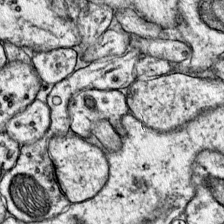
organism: Mouse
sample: Primary visual cortex